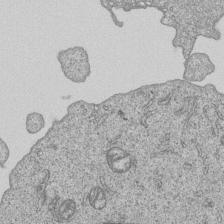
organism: Human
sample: MDA-MB-231 cells